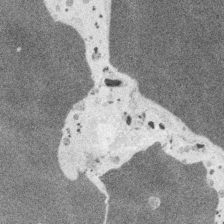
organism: Embia sp.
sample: Silk gland